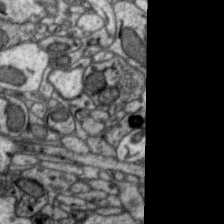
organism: Zebra finch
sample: Brain